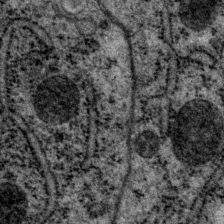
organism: P. pacificus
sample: Pharynx